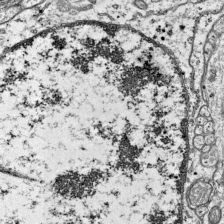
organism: Mouse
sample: Visual Cortex